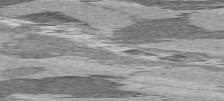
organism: C57BL Mouse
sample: Heart